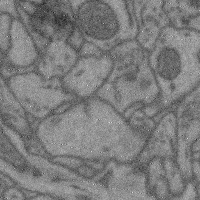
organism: Mouse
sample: Cerebral cortex